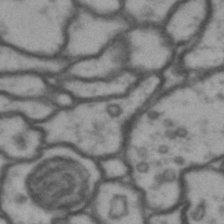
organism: Drosophila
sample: Brain